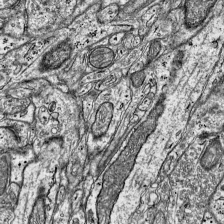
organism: Mouse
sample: Visual Cortex